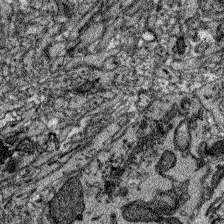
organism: Zebrafish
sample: Larval olfactory bulb